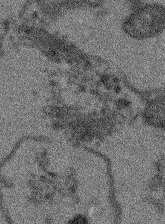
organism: Arabidopsis thaliana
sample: Root tip